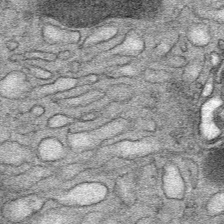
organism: Mouse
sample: Mouse Salivary gland